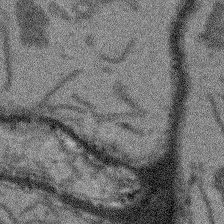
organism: Arabidopsis thaliana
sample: Root tip